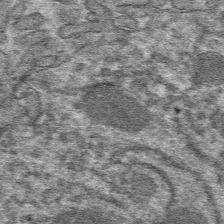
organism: Mouse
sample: Mouse hepatocytes